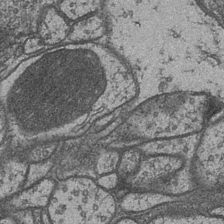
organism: Drosophila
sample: Optic medulla